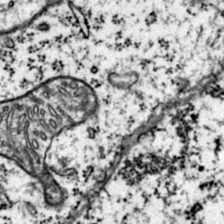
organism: Mouse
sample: Primary visual cortex